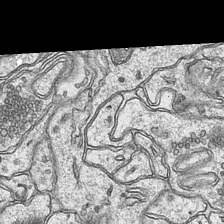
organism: Mouse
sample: CA1 Hippocampus